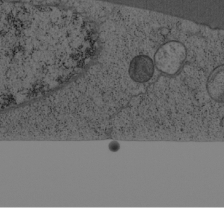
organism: African green monkey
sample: COS-7 cells